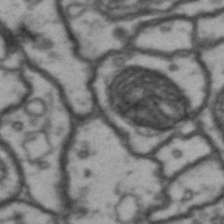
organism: Drosophila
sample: Brain